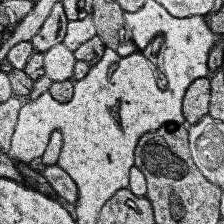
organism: Human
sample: Temporal Lobe